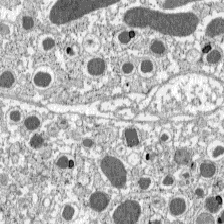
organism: C57BL Mouse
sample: Pancreatic islet